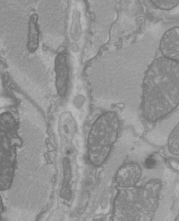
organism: C57BL Mouse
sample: Heart